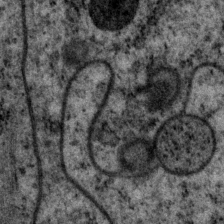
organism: P. pacificus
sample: Pharynx